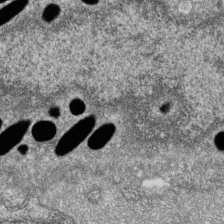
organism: Zebrafish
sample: Cilia; retinal pigment epithelium